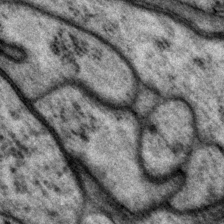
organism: P. pacificus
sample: Pharynx